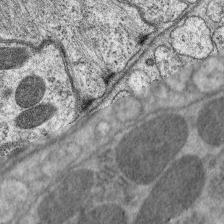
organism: C. elegans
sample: Pharynx